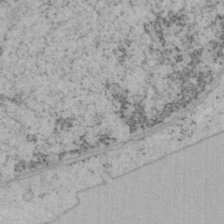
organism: Human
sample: HeLa cells